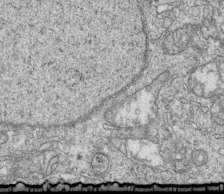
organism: Human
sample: HeLa cell HIV synapse